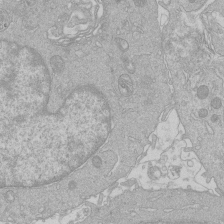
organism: Human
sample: Macrophage cells